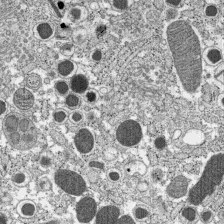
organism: C57BL Mouse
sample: Pancreatic islet